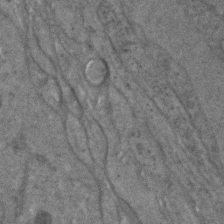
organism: C. elegans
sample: C. elegans embryo